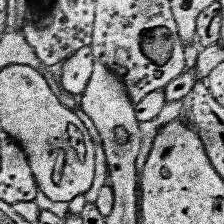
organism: Human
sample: Temporal Lobe